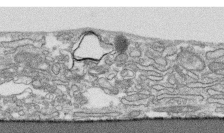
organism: Human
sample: CRL-1474